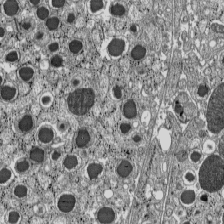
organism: C57BL Mouse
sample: Pancreatic islet